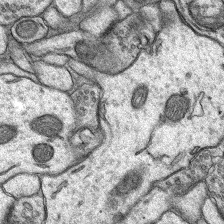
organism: Rat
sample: Hippocampus